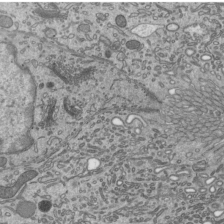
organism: Mouse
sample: Mouse epididymis efferent ductule cilia